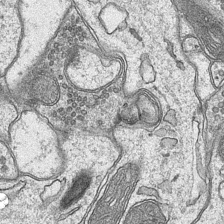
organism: Mouse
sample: CA1 Hippocampus